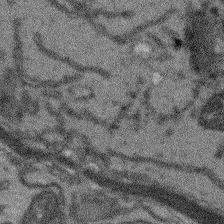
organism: Arabidopsis thaliana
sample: Root tip